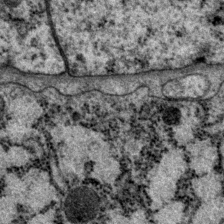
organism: P. pacificus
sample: Pharynx